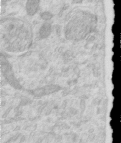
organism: Human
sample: Centriole in RPE cells